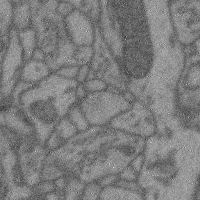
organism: Mouse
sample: Cerebral cortex